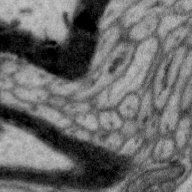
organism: Zebra finch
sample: Brain